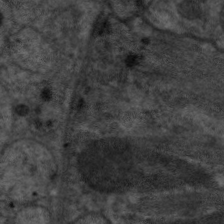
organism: C. elegans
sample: Pharynx